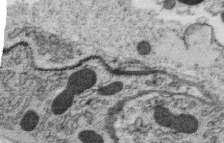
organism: C. elegans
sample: C. elegans oocyte; sperm cells